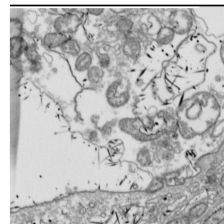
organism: Drosophila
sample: Cell division; meiosis; drosophila spermatocytes